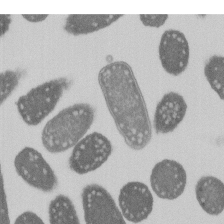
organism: E. coli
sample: Bacterial nucleoid